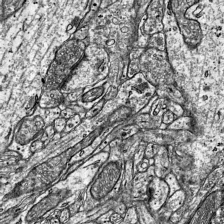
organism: Mouse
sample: Visual Cortex